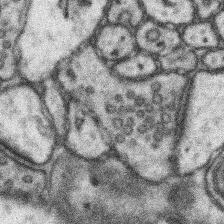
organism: Mouse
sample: Somatosensory cortex neuropil